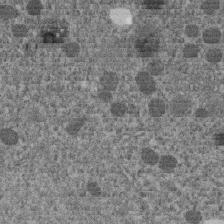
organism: C. elegans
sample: C. elegans embryo early stage